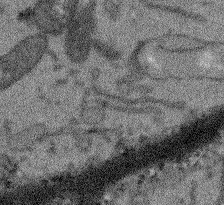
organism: Arabidopsis thaliana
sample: Root tip